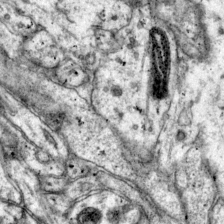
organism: Mouse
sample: Primary visual cortex